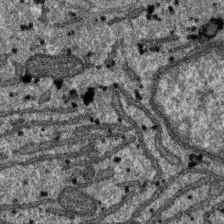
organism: Human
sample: Lung epithelial cells infected with SARS-CoV-2